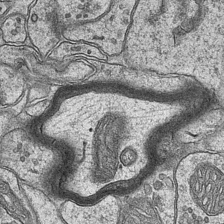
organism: Mouse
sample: CA1 Hippocampus